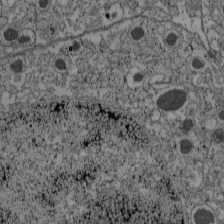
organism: C57BL Mouse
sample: Pancreatic islet